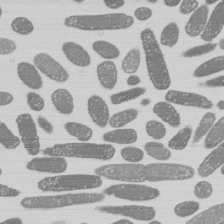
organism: E. coli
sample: Bacterial nucleoid